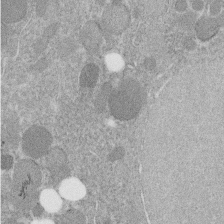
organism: C. elegans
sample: C. elegans embryo early stage